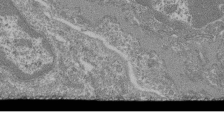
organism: Mouse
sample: Glomerulus